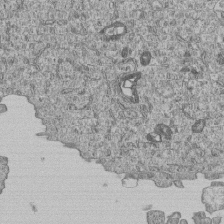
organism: Human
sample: MDA-MB-231 cells